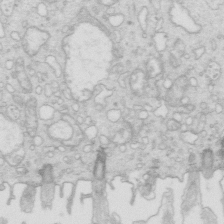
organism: Mouse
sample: Multiciliated cells